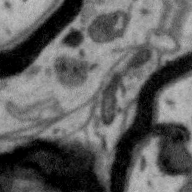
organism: Zebra finch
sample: Brain